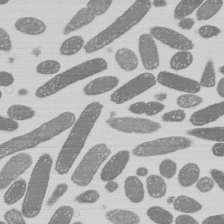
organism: E. coli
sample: Bacterial nucleoid